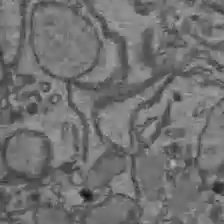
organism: C57BL Mouse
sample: Liver